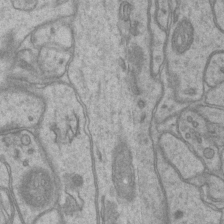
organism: Mouse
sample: CA1 Hippocampus